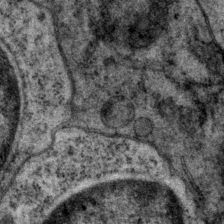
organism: P. pacificus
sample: Pharynx